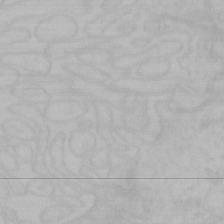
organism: Mouse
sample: Choroid plexus